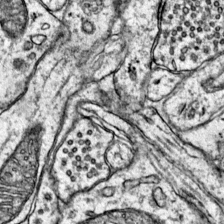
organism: Mouse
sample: Primary visual cortex